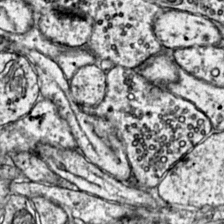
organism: Mouse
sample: Primary visual cortex